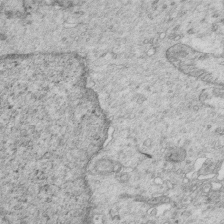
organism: Mouse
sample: Multiciliated cells